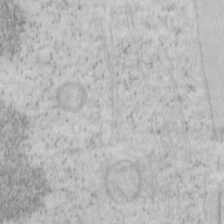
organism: Human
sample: HeLa cells